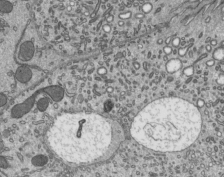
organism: Mouse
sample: Mouse epididymis efferent ductule cilia